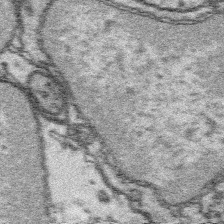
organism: Platynereis dumerilii